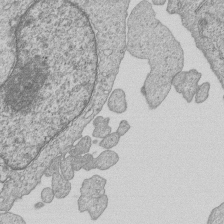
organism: Human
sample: MDA-MB-231 cells